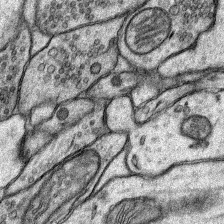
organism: Rat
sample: Hippocampus